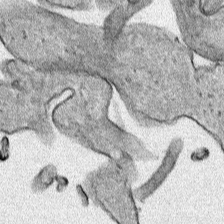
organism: Human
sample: Mitochondria in HCT116 cells